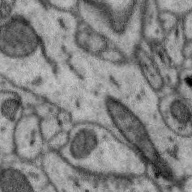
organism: Zebra finch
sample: Brain